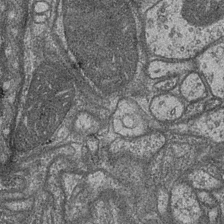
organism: Drosophila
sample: Optic medulla